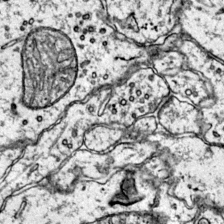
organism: Mouse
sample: Primary visual cortex